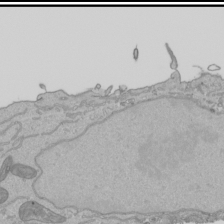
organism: Human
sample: Mitochondria in HCT116 cells